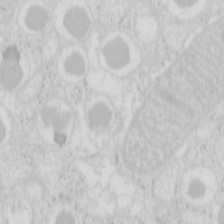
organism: Mouse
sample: Pancreas